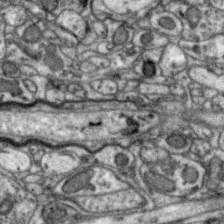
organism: Zebra finch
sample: Brain